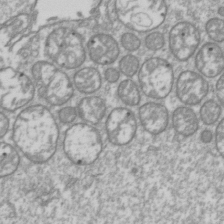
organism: Drosophila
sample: Cell division; meiosis; drosophila spermatocytes